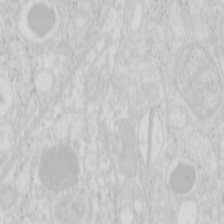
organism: Mouse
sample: Pancreas